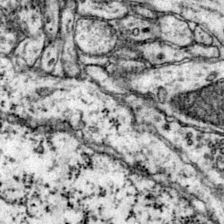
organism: Mouse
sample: Primary visual cortex